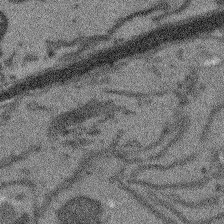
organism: Arabidopsis thaliana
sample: Root tip